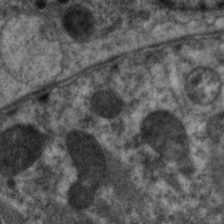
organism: C. elegans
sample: Pharynx